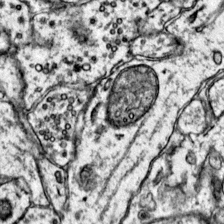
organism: Mouse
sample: Primary visual cortex